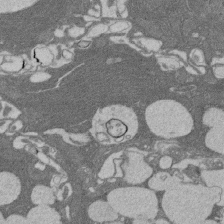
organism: Rat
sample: Salivary granule